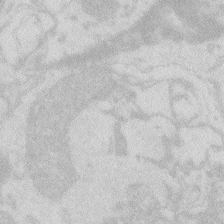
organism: Zebrafish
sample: Macrophage